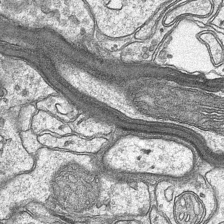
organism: Mouse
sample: CA1 Hippocampus